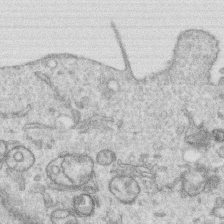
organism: Human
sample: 1205lu cells